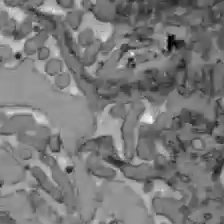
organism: C57BL Mouse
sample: Liver